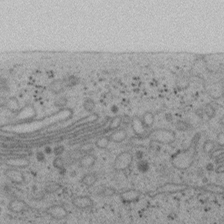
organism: Human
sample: HeLa cells